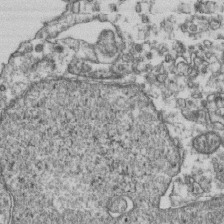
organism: Human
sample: Activated Jurkat CD4+ T cells